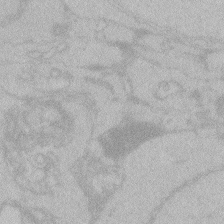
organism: Zebrafish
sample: Macrophage infected with Toxoplasma gondii